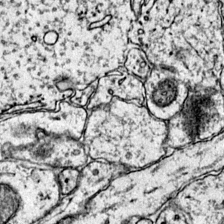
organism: Mouse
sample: Primary visual cortex